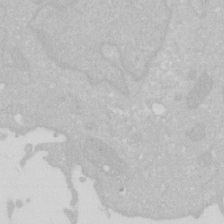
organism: Human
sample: HIV infected U937 cells